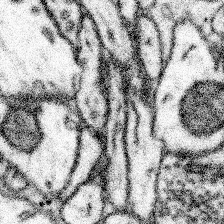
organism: Mouse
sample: Somatosensory cortex neuropil